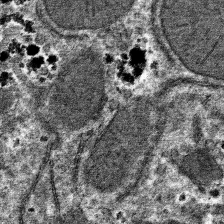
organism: Mouse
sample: Mouse hepatocytes